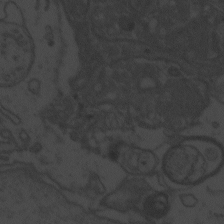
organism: Zebrafish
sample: Macrophage infected with Toxoplasma gondii